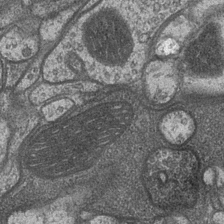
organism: Drosophila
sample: Optic medulla